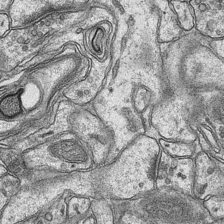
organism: Mouse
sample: CA1 Hippocampus